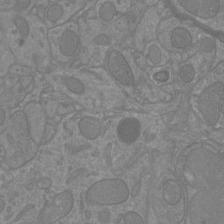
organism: Mouse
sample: Cortical neurons